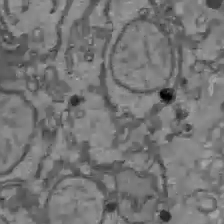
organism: C57BL Mouse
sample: Liver